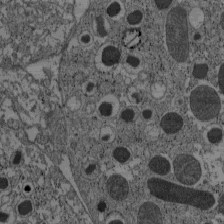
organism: C57BL Mouse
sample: Pancreatic islet